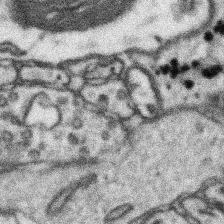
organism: Mouse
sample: Somatosensory cortex neuropil